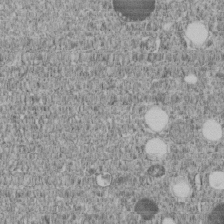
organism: C. elegans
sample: C. elegans embryo early stage